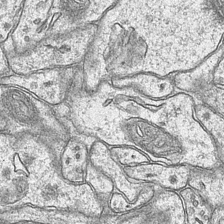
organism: Mouse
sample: CA1 Hippocampus